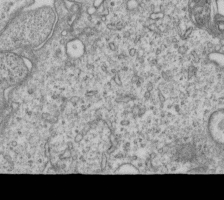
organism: Human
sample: MDA-MB-231 cells